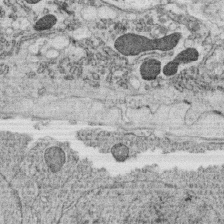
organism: C. elegans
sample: C. elegans oocyte; sperm cells